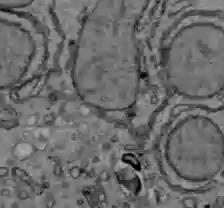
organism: C57BL Mouse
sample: Liver